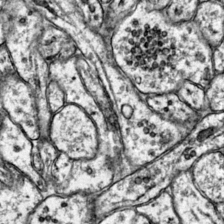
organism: Mouse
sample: Primary visual cortex